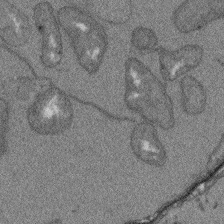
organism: Arabidopsis thaliana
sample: Root tip